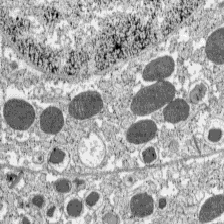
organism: C57BL Mouse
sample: Pancreatic islet